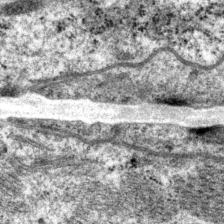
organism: P. pacificus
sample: Pharynx